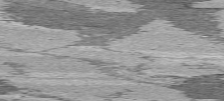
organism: C57BL Mouse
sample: Heart